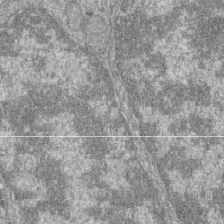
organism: Zebrafish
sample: Cilia; retinal pigment epithelium